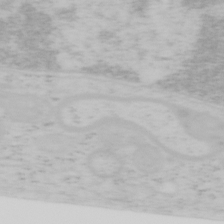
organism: Mouse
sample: OT-I killer T cells with ID8 ovarian cancer cells